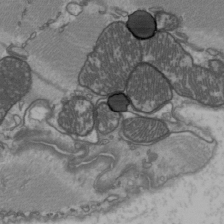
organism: C57BL Mouse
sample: Heart